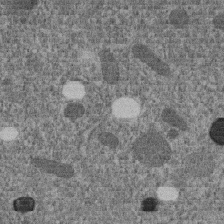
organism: C. elegans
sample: C. elegans embryo early stage